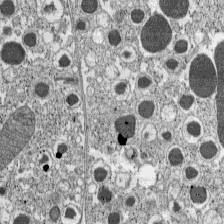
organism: C57BL Mouse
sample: Pancreatic islet